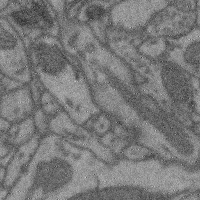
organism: Mouse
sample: Cerebral cortex